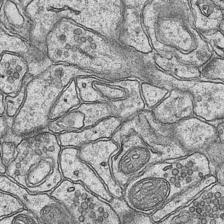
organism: Mouse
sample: CA1 Hippocampus